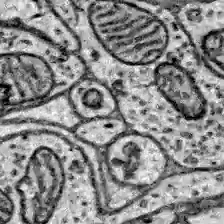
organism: Zebrafish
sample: Brain